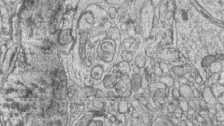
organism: Zebrafish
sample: synaptic ribbons in rod cells and cone cells